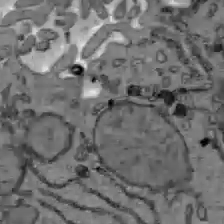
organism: C57BL Mouse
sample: Liver